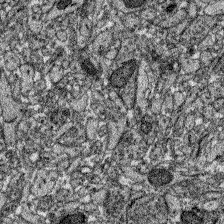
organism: Zebrafish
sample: Larval olfactory bulb